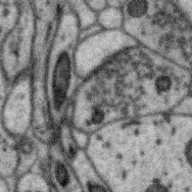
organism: Zebra finch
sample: Brain